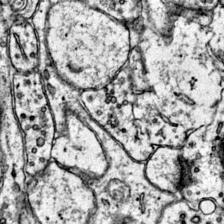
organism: Mouse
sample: Primary visual cortex